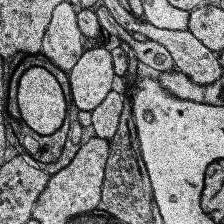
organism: Human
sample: Temporal Lobe